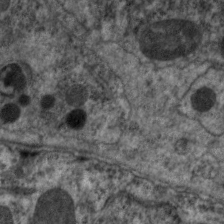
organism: C. elegans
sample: Pharynx